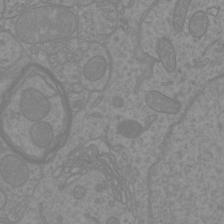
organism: Mouse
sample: Cortical neurons